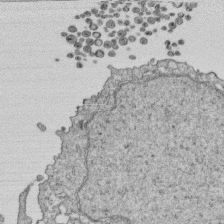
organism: Human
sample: HeLa cell HIV synapse